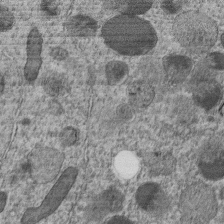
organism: C. elegans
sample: C. elegans embryo early stage